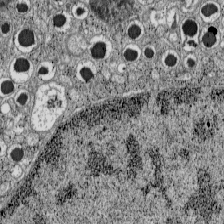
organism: C57BL Mouse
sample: Pancreatic islet